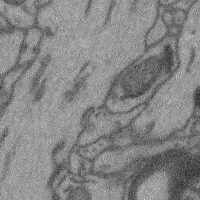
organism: Mouse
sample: Cerebral cortex